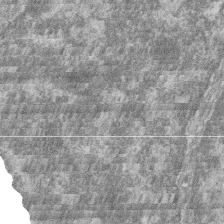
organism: Zebrafish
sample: Cilia; retinal pigment epithelium